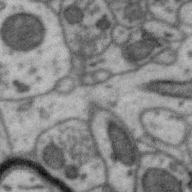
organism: Zebra finch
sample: Brain